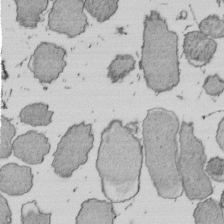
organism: E. coli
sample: Bacterial nucleoid